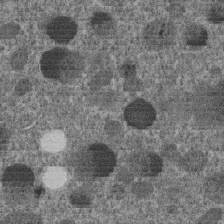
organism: C. elegans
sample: C. elegans embryo early stage